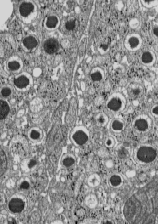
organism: C57BL Mouse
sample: Pancreatic islet